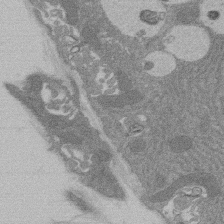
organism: Rat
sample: Salivary granule